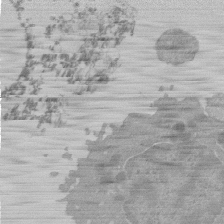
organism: Mouse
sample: Activated Pmel transgenic CD8+ T Cells